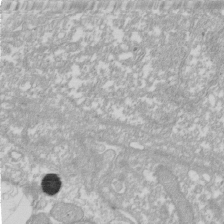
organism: Xenopus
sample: Cilia; centrioles in frog embryo cells